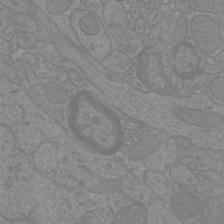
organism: Mouse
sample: Cortical neurons